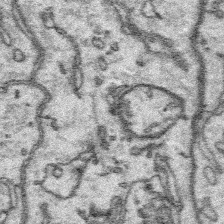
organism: Platynereis dumerilii